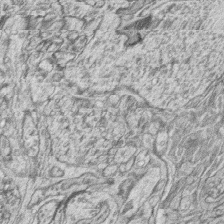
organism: Zebrafish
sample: synaptic ribbons in rod cells and cone cells